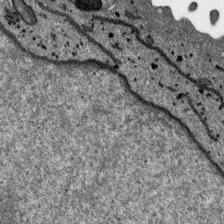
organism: Human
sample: Lung epithelial cells, uninfected (mock) control